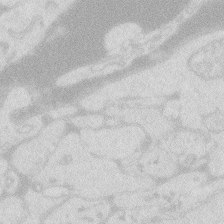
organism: Zebrafish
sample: Macrophage